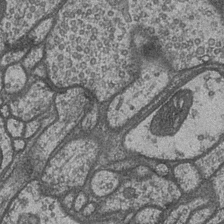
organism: Drosophila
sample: Optic medulla